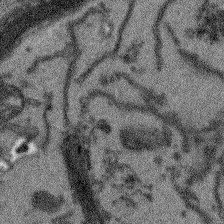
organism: Arabidopsis thaliana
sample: Root tip